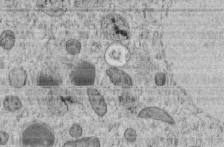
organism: C. elegans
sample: C. elegans embryo early stage